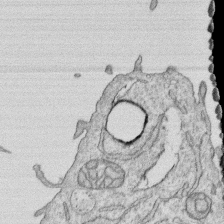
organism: Human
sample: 1205lu cells